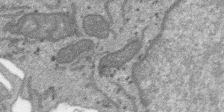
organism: Human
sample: Lung epithelial cells infected with SARS-CoV-2